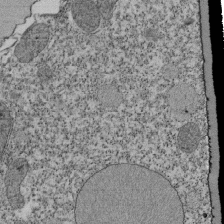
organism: Tetrahymena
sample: Cilia in tetrahymena